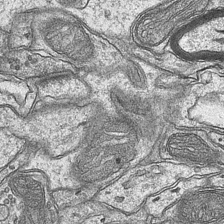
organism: Mouse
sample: CA1 Hippocampus